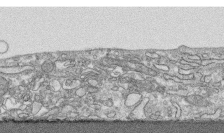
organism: Human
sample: CRL-1474